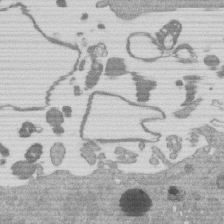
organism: Mouse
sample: Dividing mouse embryo 1 cell stage